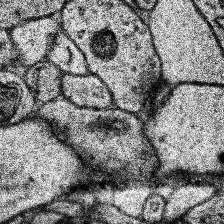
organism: Human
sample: Temporal Lobe